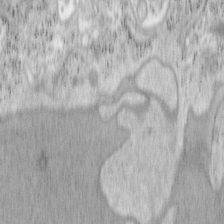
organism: Human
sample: HeLa cells